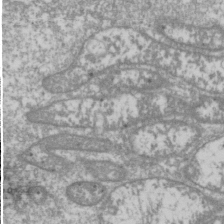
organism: Drosophila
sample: Cell division; meiosis; drosophila spermatocytes